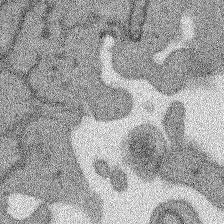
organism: Human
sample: HeLa cells